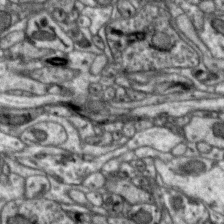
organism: Zebra finch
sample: Brain